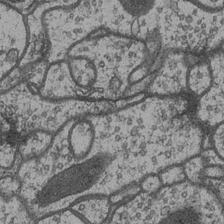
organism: Drosophila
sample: Optic medulla